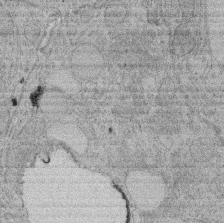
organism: Rat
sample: Salivary granule